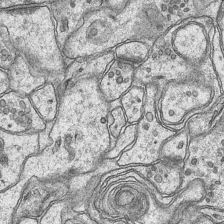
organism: Mouse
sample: CA1 Hippocampus